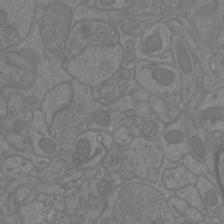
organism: Mouse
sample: Cortical neurons